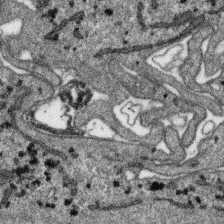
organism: Human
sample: Lung epithelial cells infected with SARS-CoV-2